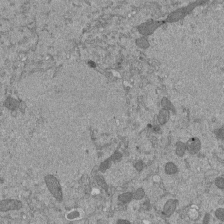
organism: Mouse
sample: ED-1 cell nuclei; centrioles